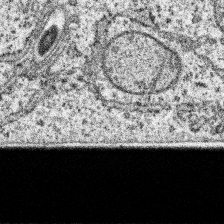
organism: Human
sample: HeLa cells